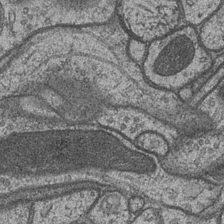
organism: Drosophila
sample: Optic medulla